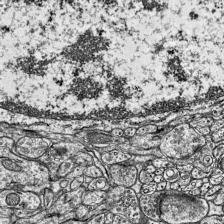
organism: Mouse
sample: Visual Cortex